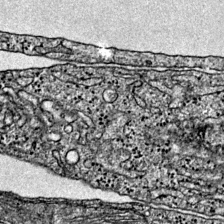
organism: Mouse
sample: Primary visual cortex